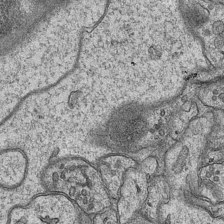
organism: Mouse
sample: CA1 Hippocampus